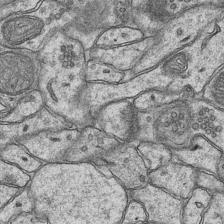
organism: Mouse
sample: CA1 Hippocampus